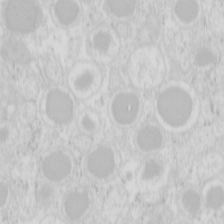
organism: Mouse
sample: Pancreas